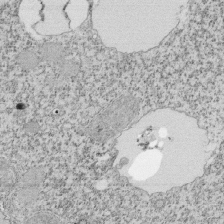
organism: Tetrahymena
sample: Cilia in tetrahymena